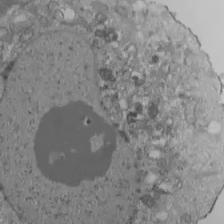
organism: Human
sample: Jurkat E6-1 and CD4 cells